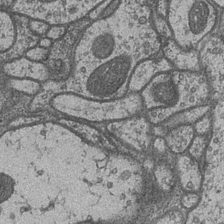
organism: Drosophila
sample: Optic medulla